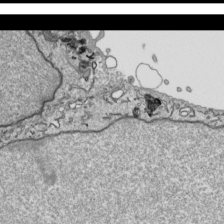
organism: Human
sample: Mitochondria in HCT116 cells